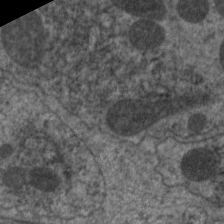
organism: C. elegans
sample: Pharynx